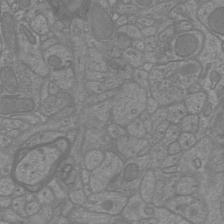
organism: Mouse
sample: Cortical neurons